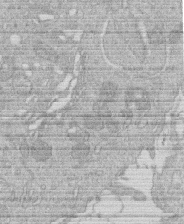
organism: Human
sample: Macrophage cells